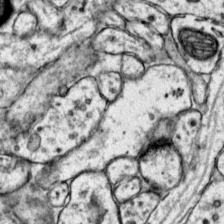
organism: Mouse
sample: Primary visual cortex